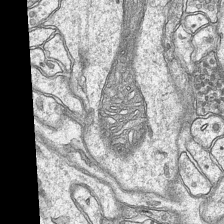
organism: Mouse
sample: CA1 Hippocampus